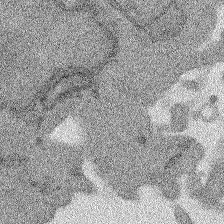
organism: Human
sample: HeLa cells